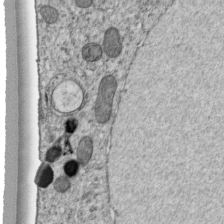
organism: C. elegans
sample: C. elegans embryo early stage